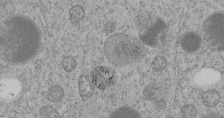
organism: C. elegans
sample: C. elegans embryo early stage